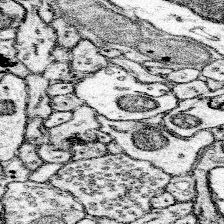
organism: Mouse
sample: Somatosensory cortex neuropil